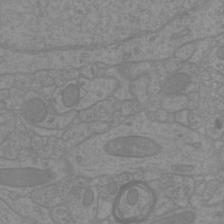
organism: Mouse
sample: Cortical neurons